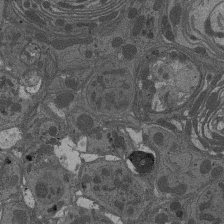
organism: Drosophila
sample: Antenna